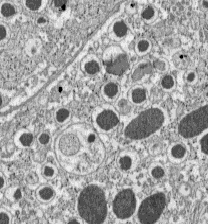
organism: C57BL Mouse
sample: Pancreatic islet